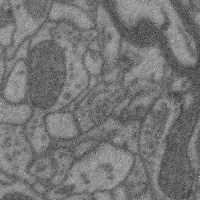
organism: Mouse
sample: Cerebral cortex